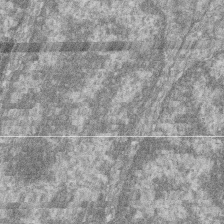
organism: Zebrafish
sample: Cilia; retinal pigment epithelium